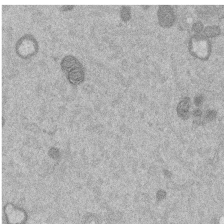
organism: Mouse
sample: Dividing mouse embryo 1 cell stage